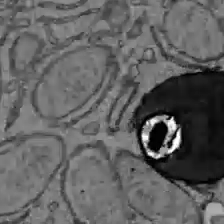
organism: C57BL Mouse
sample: Liver